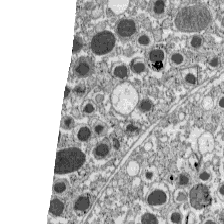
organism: C57BL Mouse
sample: Pancreatic islet